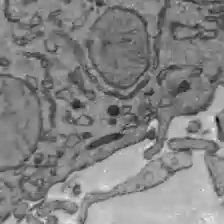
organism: C57BL Mouse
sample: Liver